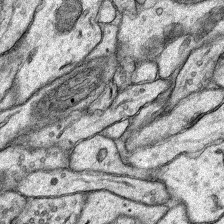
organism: Rat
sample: Hippocampus